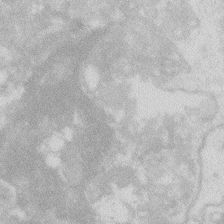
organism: Zebrafish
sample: Macrophage